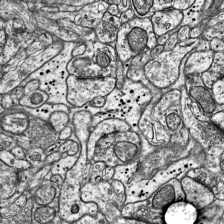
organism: Mouse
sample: Visual Cortex